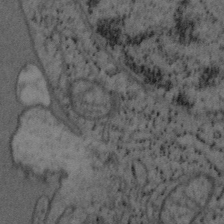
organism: Human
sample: HeLa cells